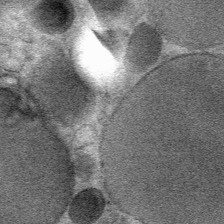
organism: Mouse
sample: Mouse Salivary gland